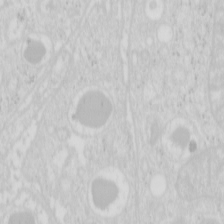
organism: Mouse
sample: Pancreas